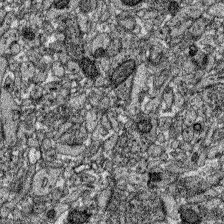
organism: Zebrafish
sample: Larval olfactory bulb